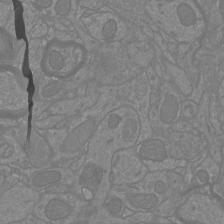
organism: Mouse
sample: Cortical neurons